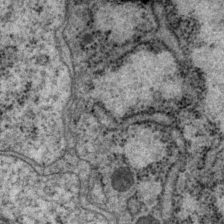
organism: P. pacificus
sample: Pharynx